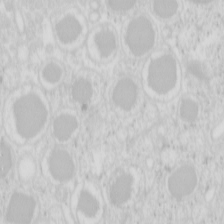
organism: Mouse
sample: Pancreas